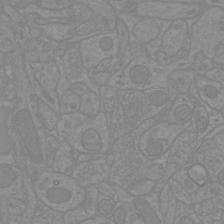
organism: Mouse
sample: Cortical neurons